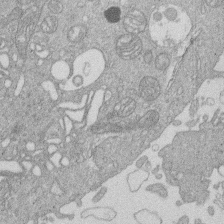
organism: Human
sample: Macrophage cells